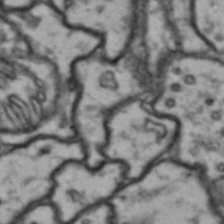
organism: Drosophila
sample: Brain